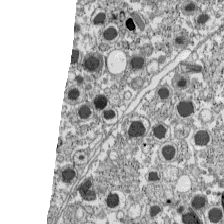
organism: C57BL Mouse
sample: Pancreatic islet